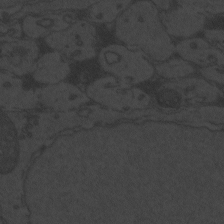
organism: Zebrafish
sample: Macrophage infected with Toxoplasma gondii